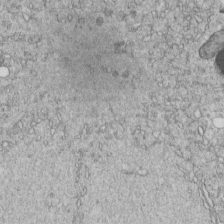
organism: C. elegans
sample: C. elegans embryo early stage